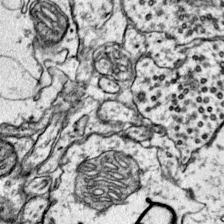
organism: Mouse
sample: Primary visual cortex